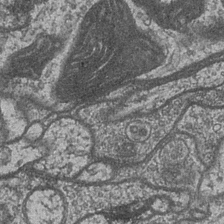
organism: Drosophila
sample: Optic medulla